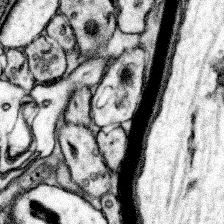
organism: Mouse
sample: Somatosensory cortex neuropil